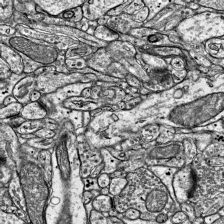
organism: Mouse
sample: Visual Cortex